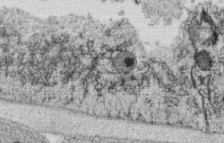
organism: C. elegans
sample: C. elegans oocyte; sperm cells